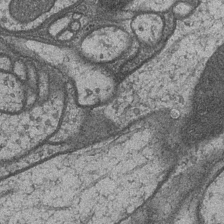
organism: Drosophila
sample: Optic medulla